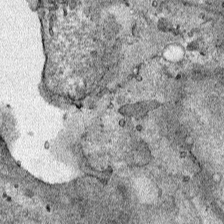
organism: Human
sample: Mitochondria in HCT116 cells